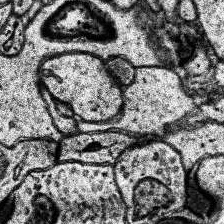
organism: Human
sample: Temporal Lobe